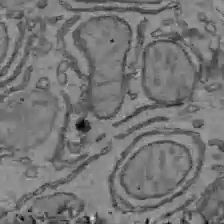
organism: C57BL Mouse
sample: Liver